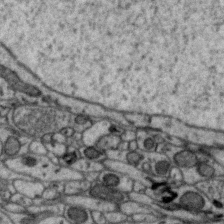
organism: Zebra finch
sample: Brain